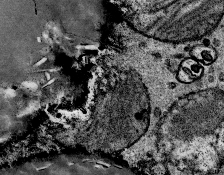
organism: Mouse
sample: Mouse Salivary gland